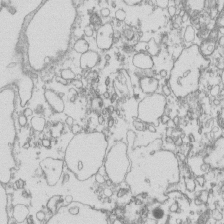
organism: Mouse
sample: Macrophages